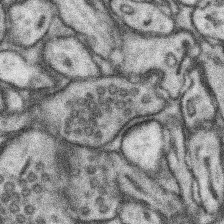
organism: Mouse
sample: Somatosensory cortex neuropil